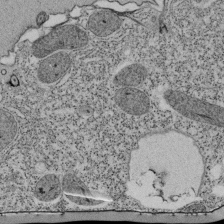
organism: Tetrahymena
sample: Cilia in tetrahymena